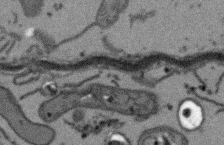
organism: Arabidopsis thaliana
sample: Root tip